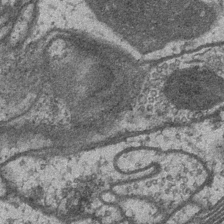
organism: Drosophila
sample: Optic medulla